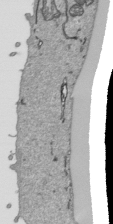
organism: Human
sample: Mitochondria in HCT116 cells